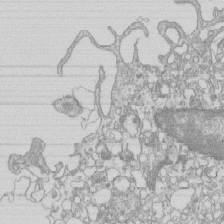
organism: Mouse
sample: Macrophages